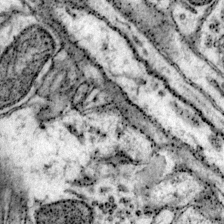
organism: Mouse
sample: Primary visual cortex